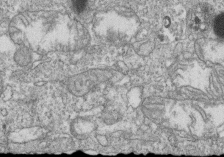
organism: Human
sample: HeLa cell HIV synapse